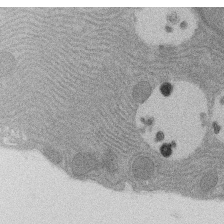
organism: Rat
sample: Salivary granule